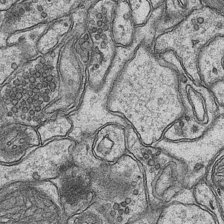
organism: Mouse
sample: CA1 Hippocampus